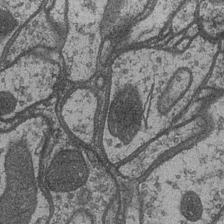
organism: Drosophila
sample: Optic medulla